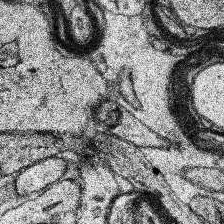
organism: Human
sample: Temporal Lobe